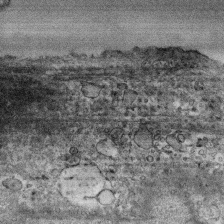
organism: Human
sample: CRL-1474